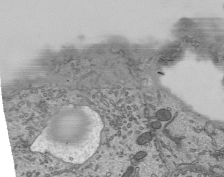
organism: Mouse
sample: Mouse epididymis efferent ductule cilia